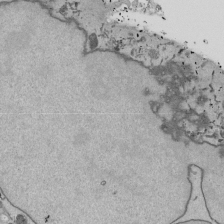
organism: Mouse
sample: ED-1 cell nuclei; centrioles